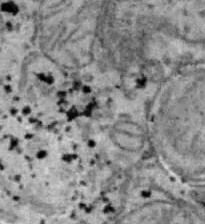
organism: Mouse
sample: Liver from an obese (ob/ob) mouse